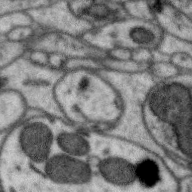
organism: Zebra finch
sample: Brain